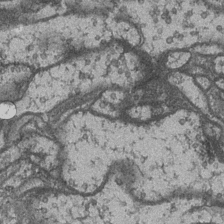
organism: Drosophila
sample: Optic medulla